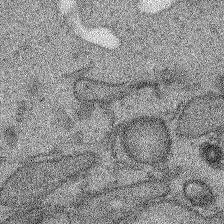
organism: Human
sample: HeLa cells